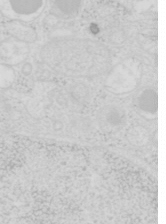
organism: Mouse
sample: Pancreas